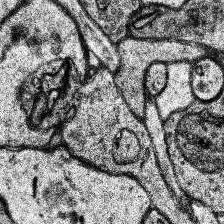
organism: Human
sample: Temporal Lobe